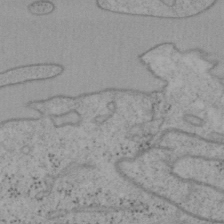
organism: Human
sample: HeLa cells